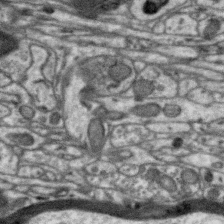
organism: Zebra finch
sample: Brain